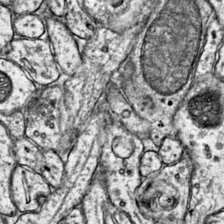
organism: Mouse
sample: Primary visual cortex